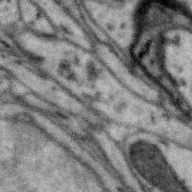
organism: Zebra finch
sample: Brain